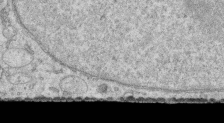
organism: Human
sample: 1205lu cells